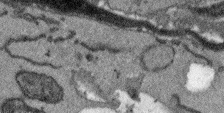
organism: Arabidopsis thaliana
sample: Root tip